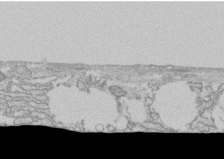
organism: Human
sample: CRL-1474